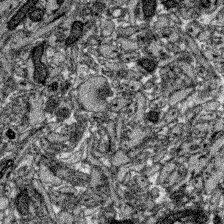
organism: Zebrafish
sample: Larval olfactory bulb